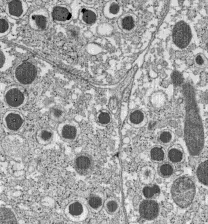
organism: C57BL Mouse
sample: Pancreatic islet